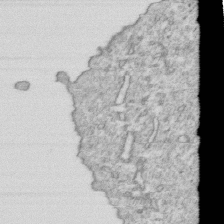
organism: Mouse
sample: Activated OT-1 CD8+ T cells